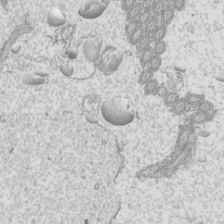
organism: Mouse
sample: Cilia; mouse epididymis